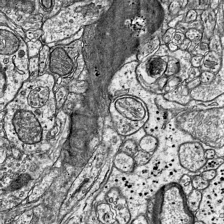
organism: Mouse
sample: Visual Cortex